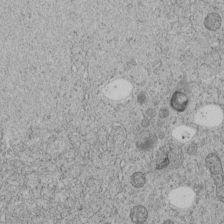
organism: C. elegans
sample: C. elegans embryo early stage